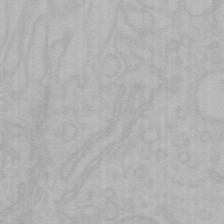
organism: Mouse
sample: Choroid plexus